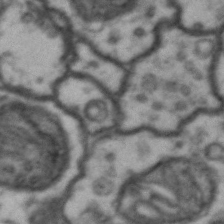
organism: Drosophila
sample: Brain